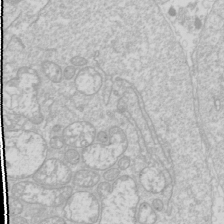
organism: Drosophila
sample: Cell division; meiosis; drosophila spermatocytes